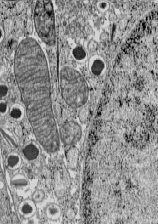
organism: C57BL Mouse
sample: Pancreatic islet